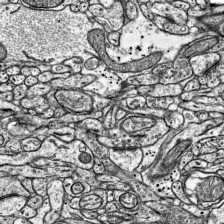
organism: Mouse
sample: Visual Cortex